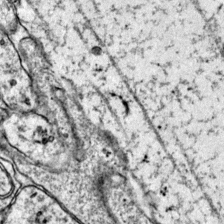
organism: Mouse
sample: Primary visual cortex